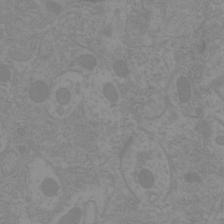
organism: Mouse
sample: Cortical neurons